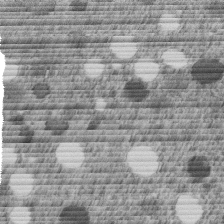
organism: C. elegans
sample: C. elegans embryo early stage